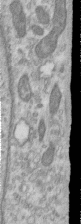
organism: Human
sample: Centriole in RPE cells